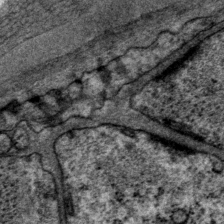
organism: P. pacificus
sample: Pharynx